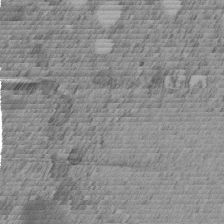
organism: C. elegans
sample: C. elegans embryo early stage